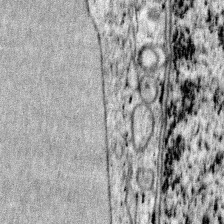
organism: Human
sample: HeLa cells